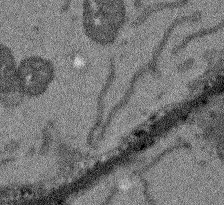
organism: Arabidopsis thaliana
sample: Root tip